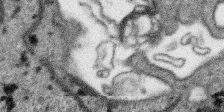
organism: Human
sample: Lung epithelial cells infected with SARS-CoV-2